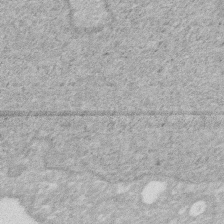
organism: Human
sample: HIV infected U937 cells